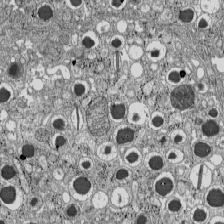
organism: C57BL Mouse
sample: Pancreatic islet